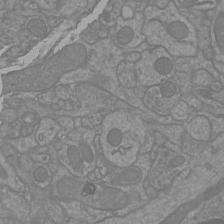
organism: Mouse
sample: Cortical neurons